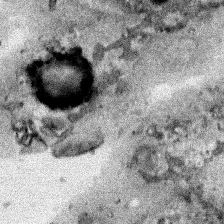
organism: Human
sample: Mitochondria in HCT116 cells